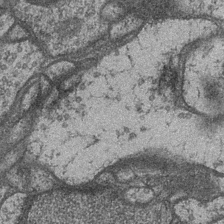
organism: Drosophila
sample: Optic medulla